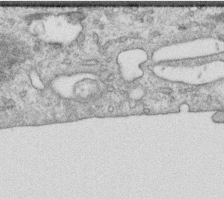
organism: Human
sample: Centriole in RPE cells